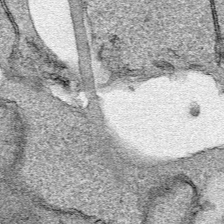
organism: Human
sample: Mitochondria in HCT116 cells